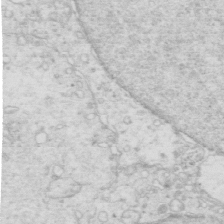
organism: Mouse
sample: Multiciliated cells